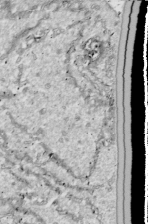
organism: Drosophila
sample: Cell division; meiosis; drosophila spermatocytes